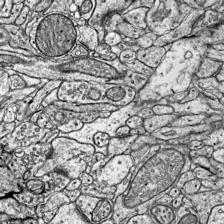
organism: Mouse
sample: Visual Cortex